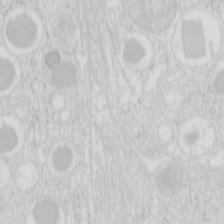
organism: Mouse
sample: Pancreas